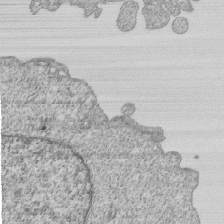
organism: Human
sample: MDA-MB-231 cells